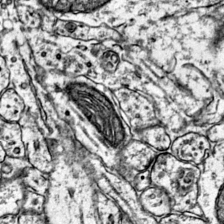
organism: Mouse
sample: Primary visual cortex